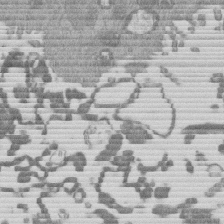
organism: Mouse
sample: Dividing mouse embryo 1 cell stage